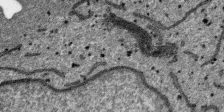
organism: Human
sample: Lung epithelial cells, uninfected (mock) control